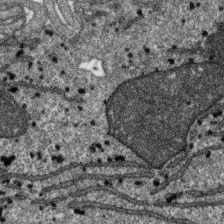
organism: Human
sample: Lung epithelial cells infected with SARS-CoV-2